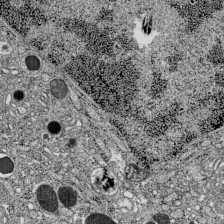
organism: C57BL Mouse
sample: Pancreatic islet